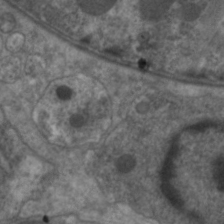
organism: C. elegans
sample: Pharynx